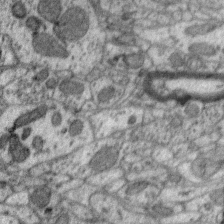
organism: Zebra finch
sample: Brain